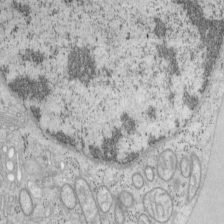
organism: Mouse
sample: OT-I killer T cells with ID8 ovarian cancer cells